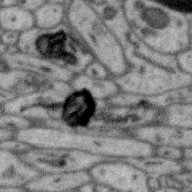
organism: Zebra finch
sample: Brain